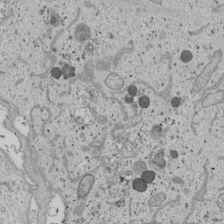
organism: Human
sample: Mitochondria in U2OS cells